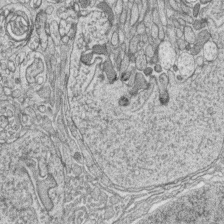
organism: Zebrafish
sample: synaptic ribbons in rod cells and cone cells